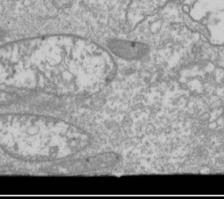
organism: Drosophila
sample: Cell division; meiosis; drosophila spermatocytes